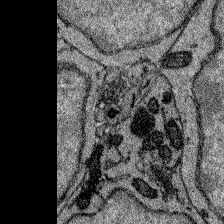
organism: Zebrafish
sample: Larval olfactory bulb